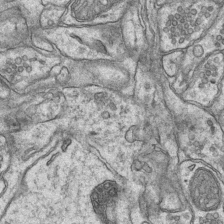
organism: Mouse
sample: CA1 Hippocampus